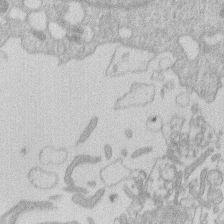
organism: Human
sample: Macrophage cells